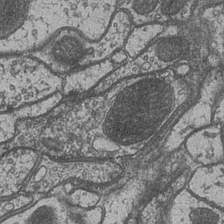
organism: Drosophila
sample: Optic medulla